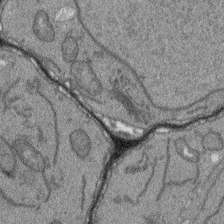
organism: Arabidopsis thaliana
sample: Root tip